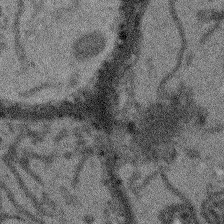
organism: Arabidopsis thaliana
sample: Root tip